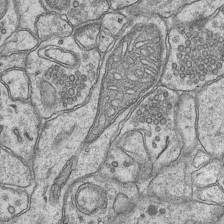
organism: Mouse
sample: CA1 Hippocampus